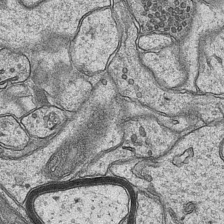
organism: Mouse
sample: CA1 Hippocampus